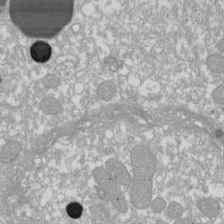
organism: Xenopus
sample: Cilia; centrioles in frog embryo cells